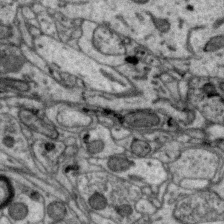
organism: Zebra finch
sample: Brain